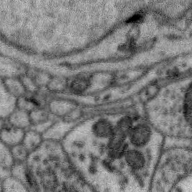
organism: Zebra finch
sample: Brain